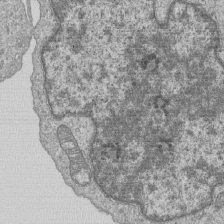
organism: Human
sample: MDA-MB-231 cells